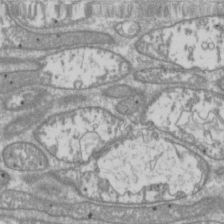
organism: Drosophila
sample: Cell division; meiosis; drosophila spermatocytes